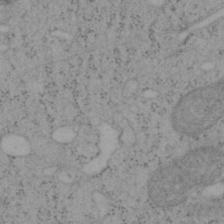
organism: Mouse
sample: OT-I killer T cells with ID8 ovarian cancer cells